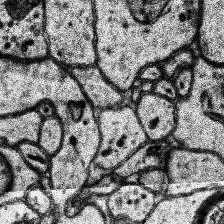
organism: Human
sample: Temporal Lobe